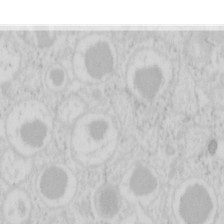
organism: Mouse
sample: Pancreas